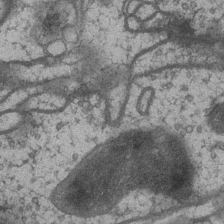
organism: Drosophila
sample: Optic medulla